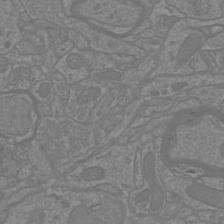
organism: Mouse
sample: Cortical neurons